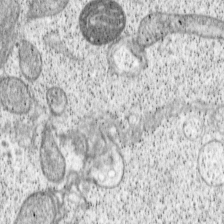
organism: African green monkey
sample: COS-7 cells